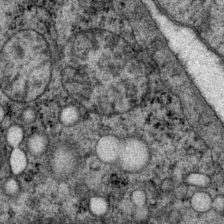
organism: P. pacificus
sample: Pharynx